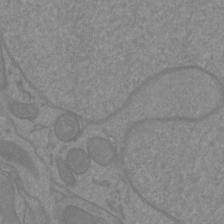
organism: Mouse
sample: Cortical neurons